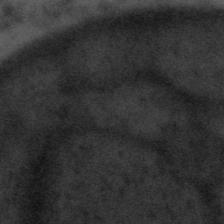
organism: Tuwongella immobilis